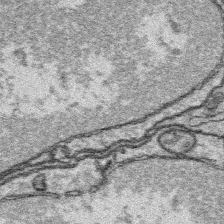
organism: Platynereis dumerilii